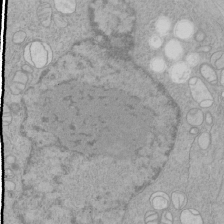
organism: Human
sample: Mitochondria in HCT116 cells